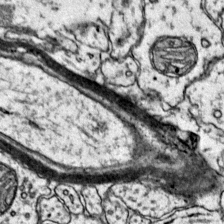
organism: Mouse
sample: Primary visual cortex